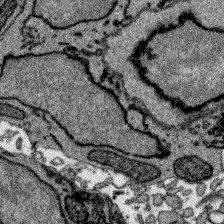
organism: Zebrafish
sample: Larval olfactory bulb